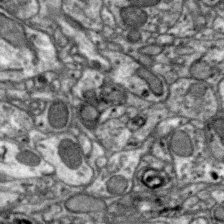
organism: Zebra finch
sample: Brain